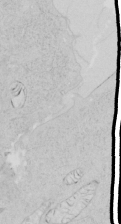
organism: Human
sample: Mitochondria in HCT116 cells